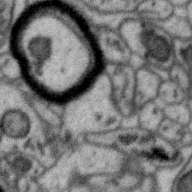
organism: Zebra finch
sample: Brain